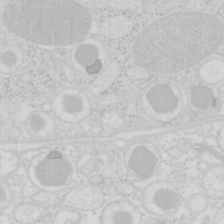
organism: Mouse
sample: Pancreas